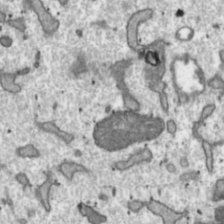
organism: Toxoplasma gondii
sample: Parasites in a vacuole inside a host cell